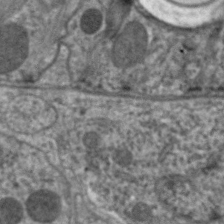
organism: C. elegans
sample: Pharynx